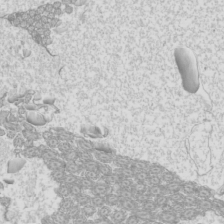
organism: Mouse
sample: Cilia; mouse epididymis